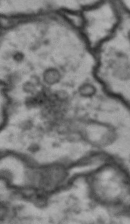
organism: Drosophila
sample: Brain